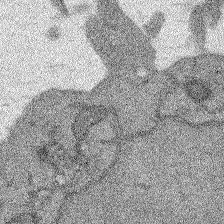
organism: Human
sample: HeLa cells